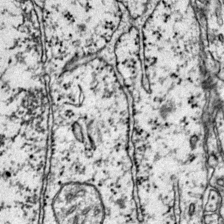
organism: Mouse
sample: Primary visual cortex